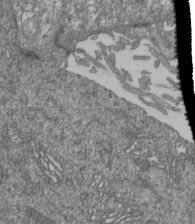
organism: Human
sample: Retinal organoid Rod and Cone cells